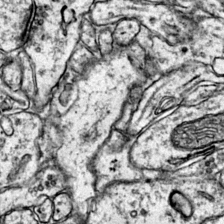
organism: Mouse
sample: Primary visual cortex